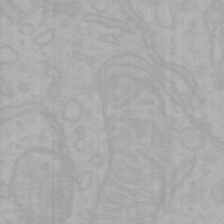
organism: Mouse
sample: Choroid plexus